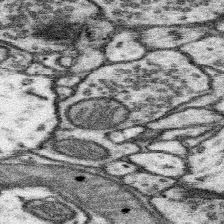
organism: Mouse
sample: Somatosensory cortex neuropil